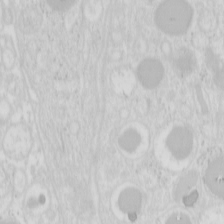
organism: Mouse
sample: Pancreas